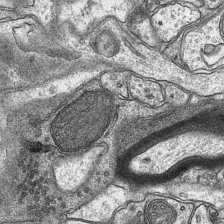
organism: Mouse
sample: CA1 Hippocampus